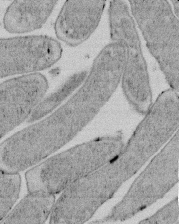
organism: E. coli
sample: Bacterial nucleoid